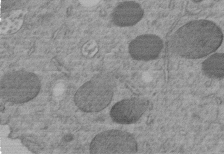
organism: C. elegans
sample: C. elegans embryo early stage